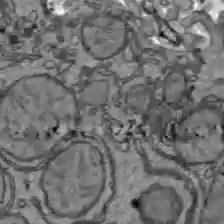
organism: C57BL Mouse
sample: Liver